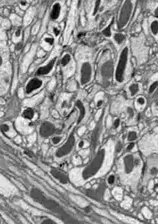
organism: Drosophila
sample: Optic lobe